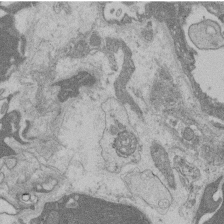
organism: Rat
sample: Salivary granule